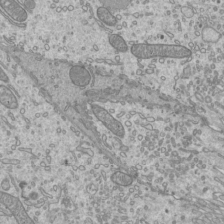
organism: Mouse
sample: Cilia; mouse epididymis